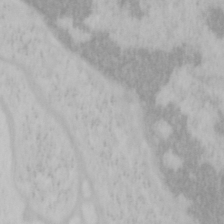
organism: Mouse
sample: OT-I killer T cells with ID8 ovarian cancer cells